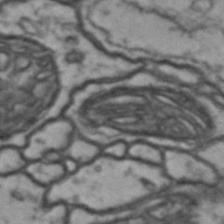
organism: Drosophila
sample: Brain